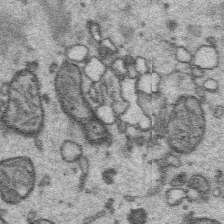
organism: Platynereis dumerilii